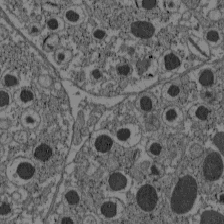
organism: C57BL Mouse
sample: Pancreatic islet